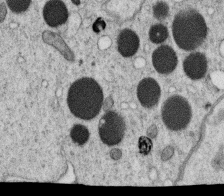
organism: C. elegans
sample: C. elegans oocyte; sperm cells